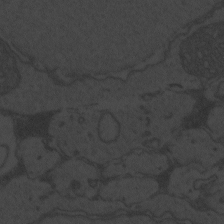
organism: Zebrafish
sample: Macrophage infected with Toxoplasma gondii